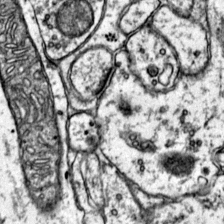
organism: Mouse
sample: Primary visual cortex